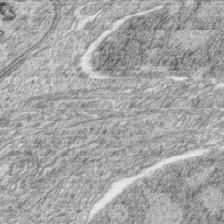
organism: Zebrafish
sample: synaptic ribbons in rod cells and cone cells